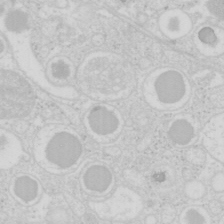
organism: Mouse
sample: Pancreas